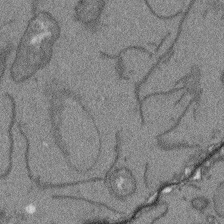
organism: Arabidopsis thaliana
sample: Root tip